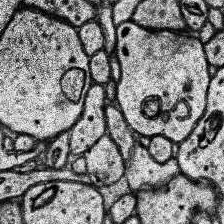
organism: Human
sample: Temporal Lobe